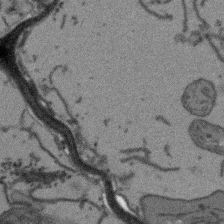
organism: Arabidopsis thaliana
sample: Root tip